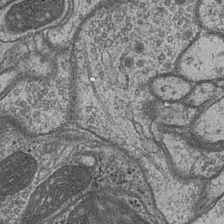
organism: Drosophila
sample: Optic medulla